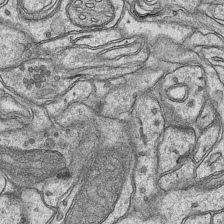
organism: Mouse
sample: CA1 Hippocampus